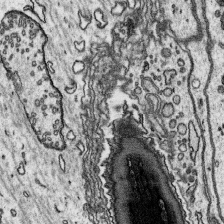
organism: Platynereis dumerilii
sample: Parapodia